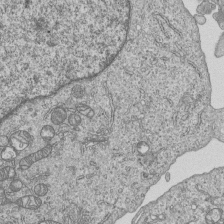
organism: Human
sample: MDA-MB-231 cells